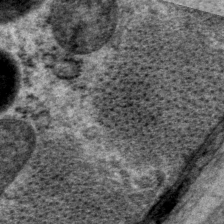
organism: P. pacificus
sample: Pharynx